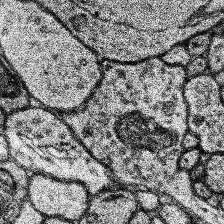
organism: Human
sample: Temporal Lobe